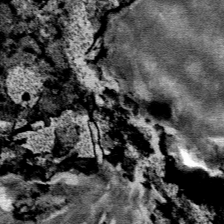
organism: Mouse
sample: Mouse Salivary gland